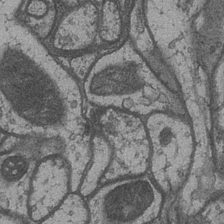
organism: Drosophila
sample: Optic medulla